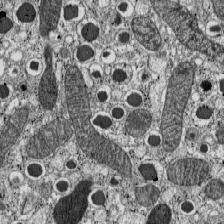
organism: C57BL Mouse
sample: Pancreatic islet